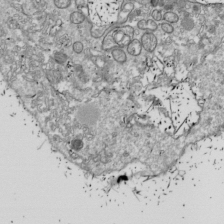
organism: Drosophila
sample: Cell division; meiosis; drosophila spermatocytes